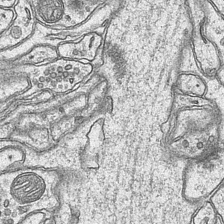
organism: Mouse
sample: CA1 Hippocampus